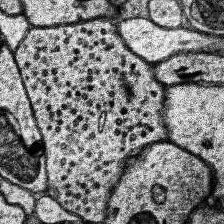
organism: Human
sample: Temporal Lobe